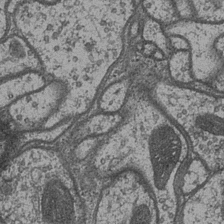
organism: Drosophila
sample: Optic medulla